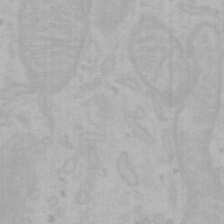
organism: Mouse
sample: Choroid plexus